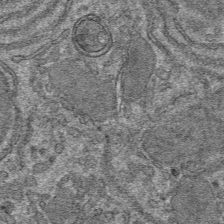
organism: Mouse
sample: Mouse hepatocytes